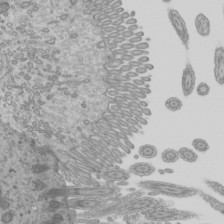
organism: Mouse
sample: Cilia; mouse epididymis